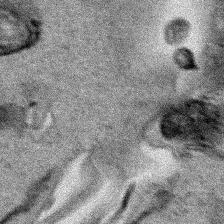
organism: Human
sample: Mitochondria in HCT116 cells